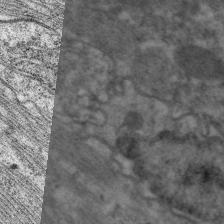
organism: C. elegans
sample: Pharynx